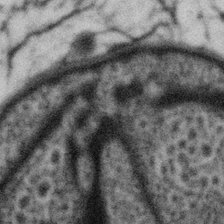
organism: Gemmata obscuriglobus